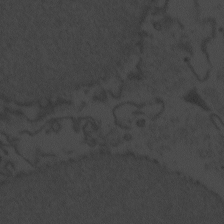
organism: Zebrafish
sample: Macrophage infected with Toxoplasma gondii